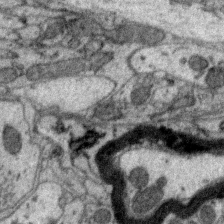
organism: Zebra finch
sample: Brain